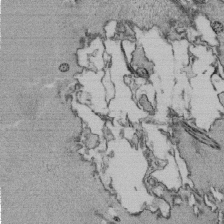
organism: Tetrahymena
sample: Cilia in tetrahymena